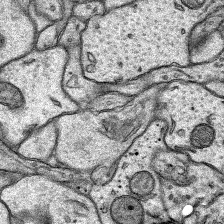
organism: Rat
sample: Hippocampus